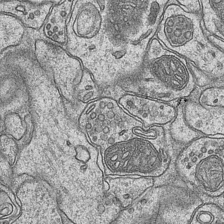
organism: Mouse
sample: CA1 Hippocampus